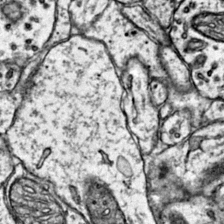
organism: Mouse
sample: Primary visual cortex